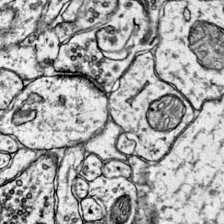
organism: Mouse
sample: Primary visual cortex